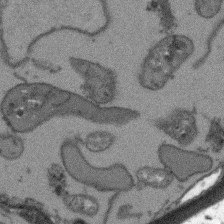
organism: Arabidopsis thaliana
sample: Root tip